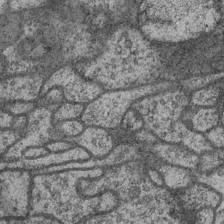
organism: Drosophila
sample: Optic medulla